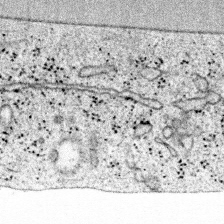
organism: Human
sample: HeLa cells